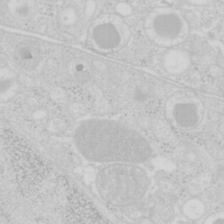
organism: Mouse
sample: Pancreas